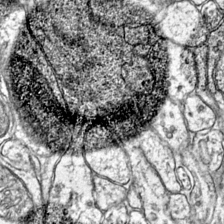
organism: Mouse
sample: Primary visual cortex